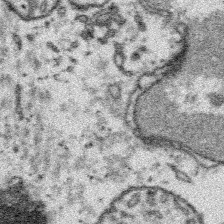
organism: Platynereis dumerilii